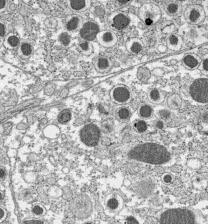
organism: C57BL Mouse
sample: Pancreatic islet